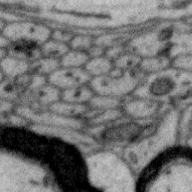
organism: Zebra finch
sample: Brain